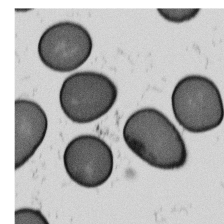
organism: B. subtilis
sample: Bacterial spore